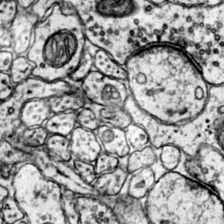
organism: Mouse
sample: Primary visual cortex